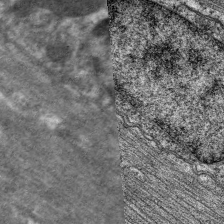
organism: C. elegans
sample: Pharynx